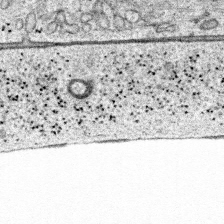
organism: Human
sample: HeLa cells